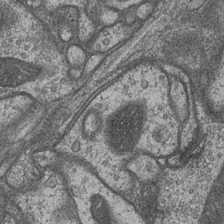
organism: Drosophila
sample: Optic medulla